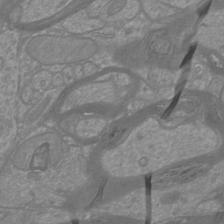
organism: Mouse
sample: Cortical neurons